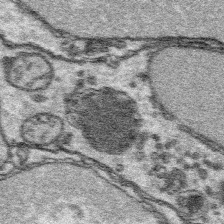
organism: Platynereis dumerilii